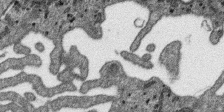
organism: Human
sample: Lung epithelial cells infected with SARS-CoV-2